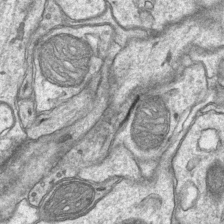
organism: Mouse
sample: CA1 Hippocampus